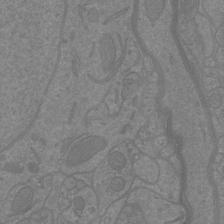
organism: Mouse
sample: Cortical neurons